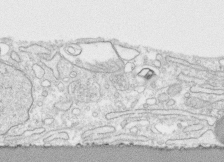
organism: Human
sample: CRL-1474